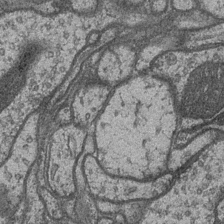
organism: Drosophila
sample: Optic medulla